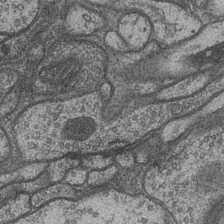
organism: Drosophila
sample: Optic medulla